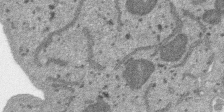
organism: Human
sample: Lung epithelial cells infected with SARS-CoV-2